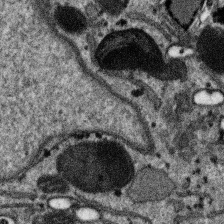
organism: Human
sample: Lung epithelial cells infected with SARS-CoV-2